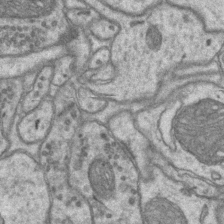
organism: Mouse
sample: CA1 Hippocampus